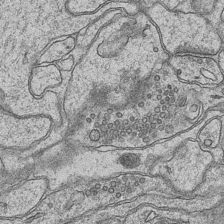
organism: Mouse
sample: CA1 Hippocampus